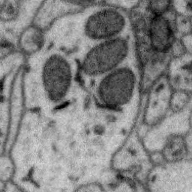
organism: Zebra finch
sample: Brain